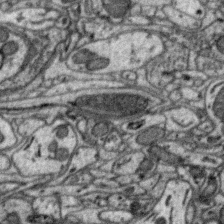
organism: Zebra finch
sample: Brain